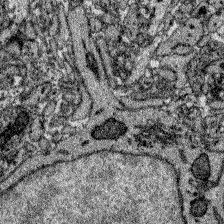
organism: Zebrafish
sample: Larval olfactory bulb